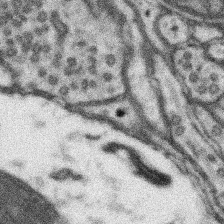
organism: Mouse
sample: Somatosensory cortex neuropil